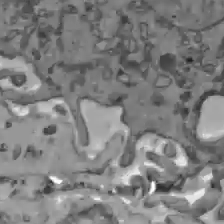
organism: C57BL Mouse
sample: Liver